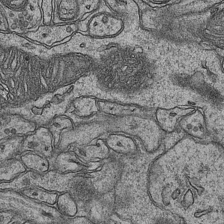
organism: Mouse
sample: CA1 Hippocampus